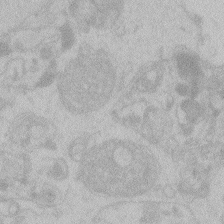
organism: Zebrafish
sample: Macrophage infected with Toxoplasma gondii